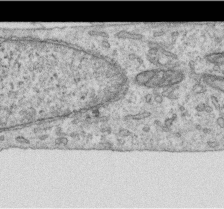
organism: Human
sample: Centriole in RPE cells